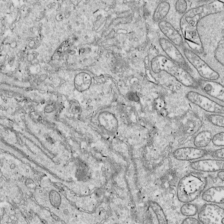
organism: Drosophila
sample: Cell division; meiosis; drosophila spermatocytes